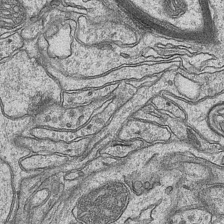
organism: Mouse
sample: CA1 Hippocampus